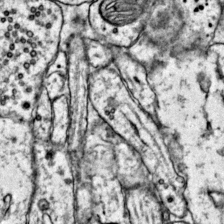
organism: Mouse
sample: Primary visual cortex